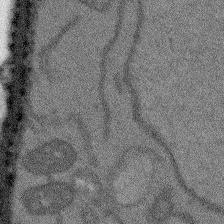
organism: Arabidopsis thaliana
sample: Root tip